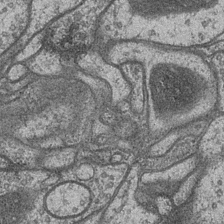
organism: Drosophila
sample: Optic medulla